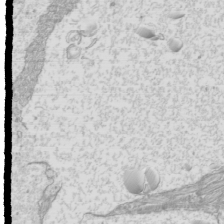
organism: Mouse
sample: Cilia; mouse epididymis